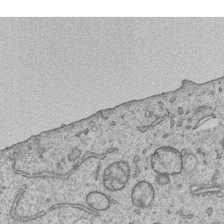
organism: Human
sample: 1205lu cells